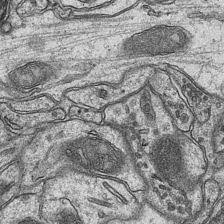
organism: Mouse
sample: CA1 Hippocampus